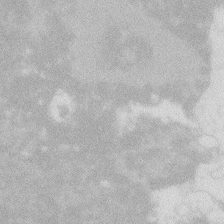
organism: Zebrafish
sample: Macrophage